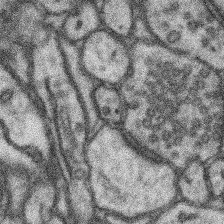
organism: Mouse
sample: Somatosensory cortex neuropil